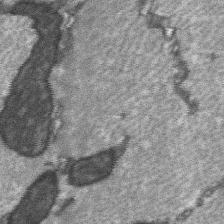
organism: C57BL Mouse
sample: Soleus